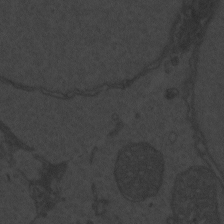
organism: Zebrafish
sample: Macrophage infected with Toxoplasma gondii